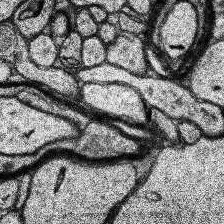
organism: Human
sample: Temporal Lobe